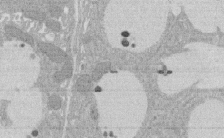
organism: Rat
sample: Salivary granule